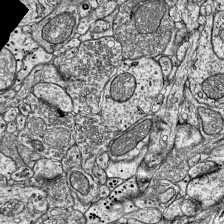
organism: Mouse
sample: Visual Cortex